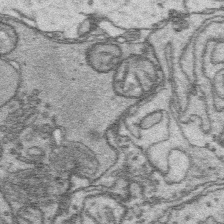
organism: Platynereis dumerilii